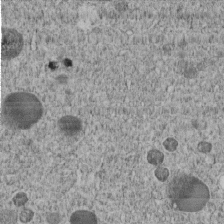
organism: C. elegans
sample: C. elegans embryo early stage